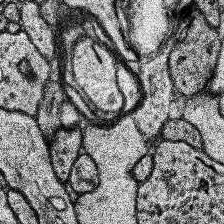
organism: Human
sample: Temporal Lobe